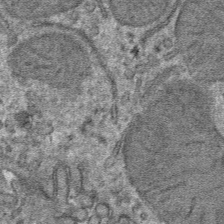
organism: Mouse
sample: Mouse hepatocytes